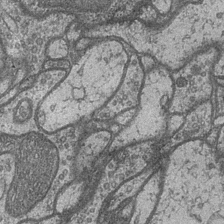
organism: Drosophila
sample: Optic medulla